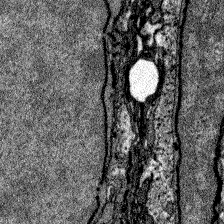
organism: Zebrafish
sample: Larval olfactory bulb